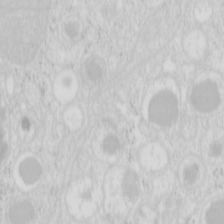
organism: Mouse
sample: Pancreas